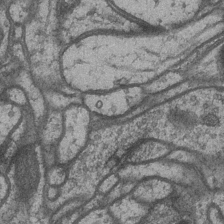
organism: Drosophila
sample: Optic medulla